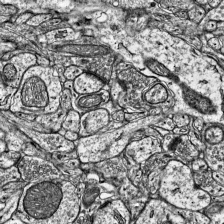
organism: Mouse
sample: Visual Cortex